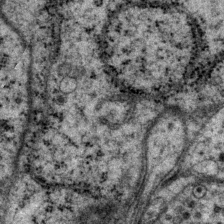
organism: P. pacificus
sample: Pharynx